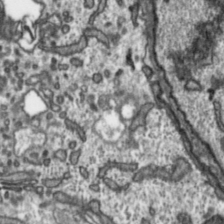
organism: Toxoplasma gondii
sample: Parasites in a vacuole inside a host cell